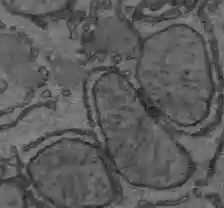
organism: C57BL Mouse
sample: Liver